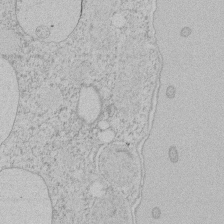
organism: Tetrahymena